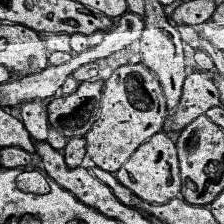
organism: Human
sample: Temporal Lobe